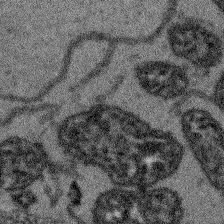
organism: Arabidopsis thaliana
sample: Root tip